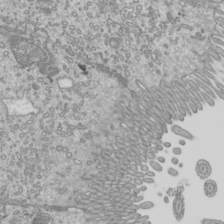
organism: Mouse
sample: Cilia; mouse epididymis